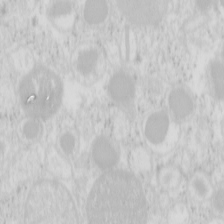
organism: Mouse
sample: Pancreas